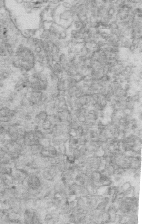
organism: Mouse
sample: Multiciliated cells